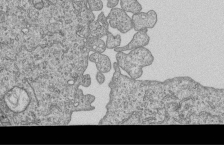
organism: Human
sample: MDA-MB-231 cells